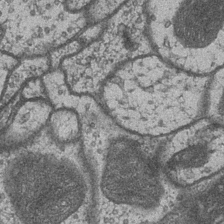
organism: Drosophila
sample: Optic medulla